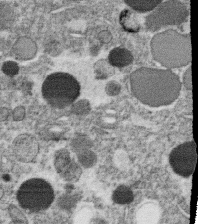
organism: C. elegans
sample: C. elegans oocyte; sperm cells